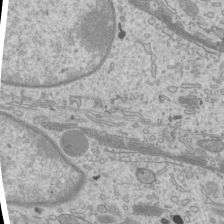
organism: Mouse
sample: Cilia; mouse epididymis